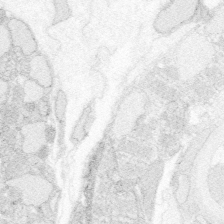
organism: Zebrafish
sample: Whole-Brain